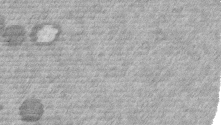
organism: Mouse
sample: Dividing mouse embryo 1 cell stage